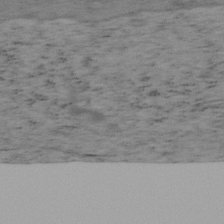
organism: Mouse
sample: OT-I killer T cells with ID8 ovarian cancer cells